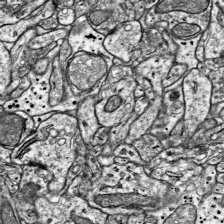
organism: Mouse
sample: Visual Cortex